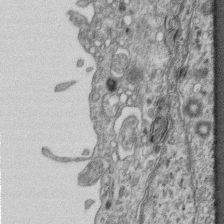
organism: Mouse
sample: Centriole in ependymal cells